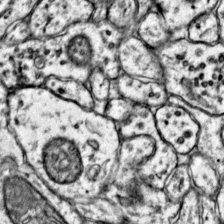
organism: Mouse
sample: Primary visual cortex